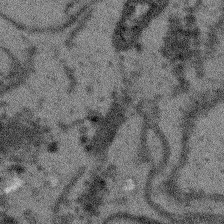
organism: Arabidopsis thaliana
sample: Root tip